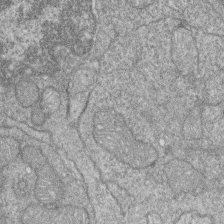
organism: Zebrafish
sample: Cilia; retinal pigment epithelium